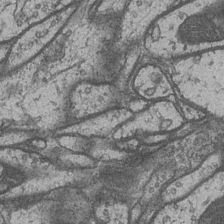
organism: Drosophila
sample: Optic medulla